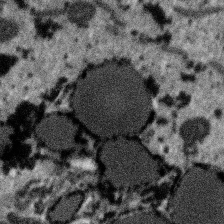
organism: Human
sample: Lung epithelial cells infected with SARS-CoV-2